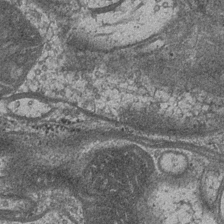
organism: Drosophila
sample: Optic medulla